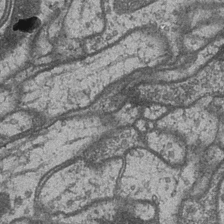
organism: Drosophila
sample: Optic medulla